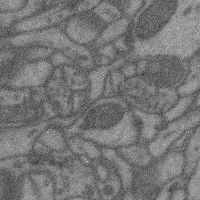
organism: Mouse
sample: Cerebral cortex